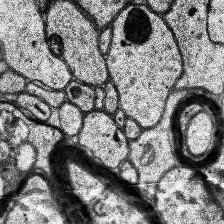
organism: Human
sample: Temporal Lobe